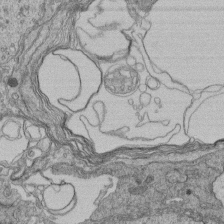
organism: Human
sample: Retinal organoid Rod and Cone cells